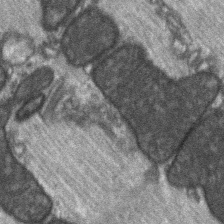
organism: C57BL Mouse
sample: Soleus